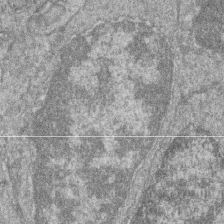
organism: Zebrafish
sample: Cilia; retinal pigment epithelium